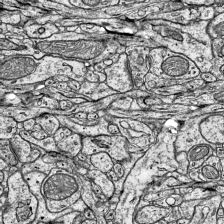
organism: Mouse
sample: Visual Cortex